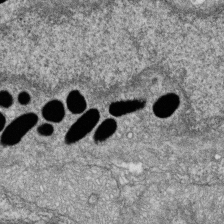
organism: Zebrafish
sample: Cilia; retinal pigment epithelium